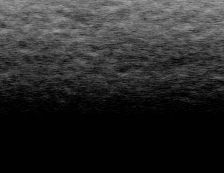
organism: Human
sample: HeLa cells